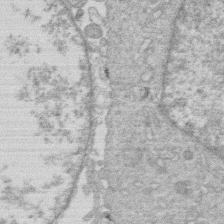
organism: Human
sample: Macrophage cells